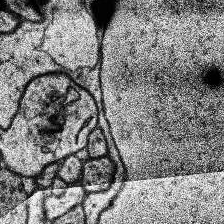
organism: Human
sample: Temporal Lobe